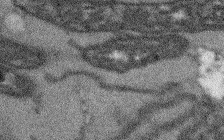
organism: Arabidopsis thaliana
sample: Root tip